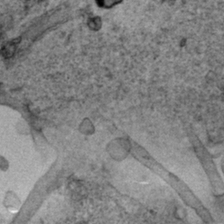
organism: Human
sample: Mitochondria in HCT116 cells